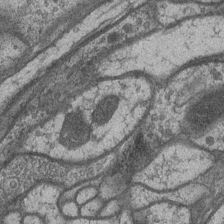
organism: Drosophila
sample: Optic medulla